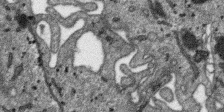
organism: Human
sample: Lung epithelial cells infected with SARS-CoV-2